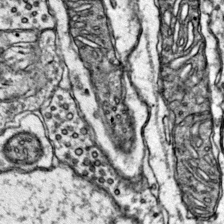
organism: Mouse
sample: Primary visual cortex